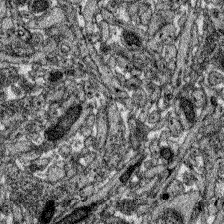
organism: Zebrafish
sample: Larval olfactory bulb